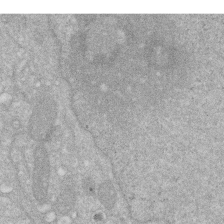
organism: Human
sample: HIV infected U937 cells